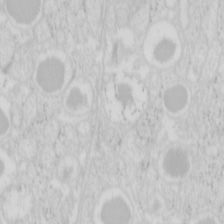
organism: Mouse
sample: Pancreas